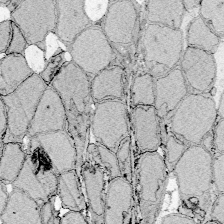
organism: Zebrafish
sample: Whole-Brain